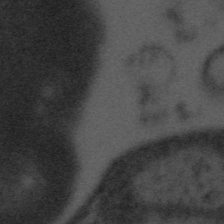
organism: Tuwongella immobilis